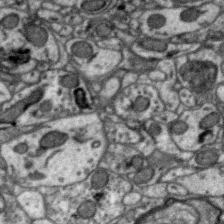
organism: Zebra finch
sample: Brain